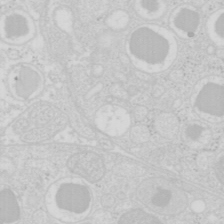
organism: Mouse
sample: Pancreas